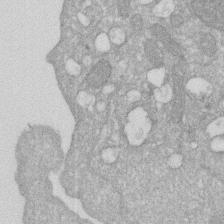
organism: Human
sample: HIV infected U937 cells